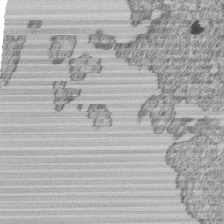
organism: Human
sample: MDA-MB-231 cells